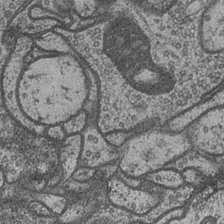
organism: Drosophila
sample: Optic medulla